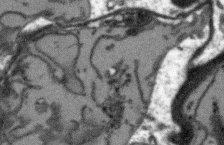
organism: Arabidopsis thaliana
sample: Root tip